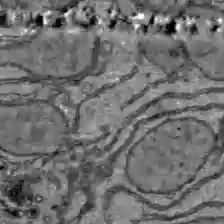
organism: C57BL Mouse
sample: Liver